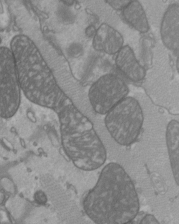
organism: C57BL Mouse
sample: Heart